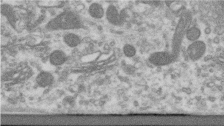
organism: Human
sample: Centriole in RPE cells